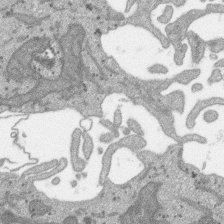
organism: Human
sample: Lung epithelial cells infected with SARS-CoV-2